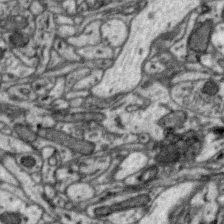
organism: Zebra finch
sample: Brain